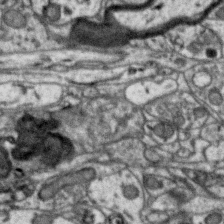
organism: Zebra finch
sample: Brain